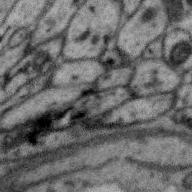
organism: Zebra finch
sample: Brain